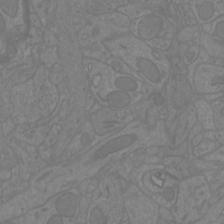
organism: Mouse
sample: Cortical neurons